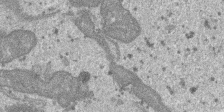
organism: Human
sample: Lung epithelial cells infected with SARS-CoV-2